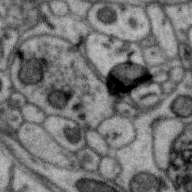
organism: Zebra finch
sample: Brain